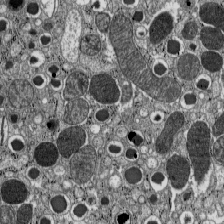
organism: C57BL Mouse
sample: Pancreatic islet